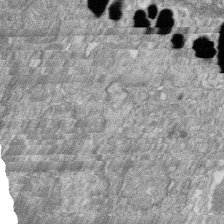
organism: Zebrafish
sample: Cilia; retinal pigment epithelium